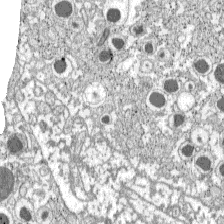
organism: C57BL Mouse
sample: Pancreatic islet